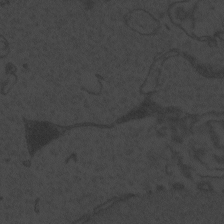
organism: Zebrafish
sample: Macrophage infected with Toxoplasma gondii